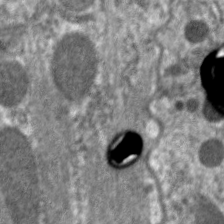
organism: C. elegans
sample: Pharynx